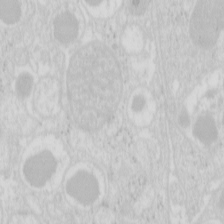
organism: Mouse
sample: Pancreas